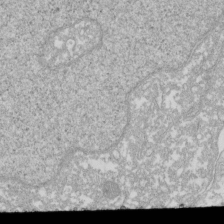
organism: Xenopus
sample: Cilia; centrioles in frog embryo cells